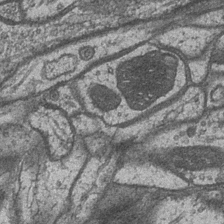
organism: Drosophila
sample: Optic medulla